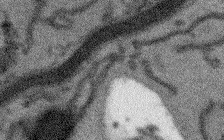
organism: Arabidopsis thaliana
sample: Root tip